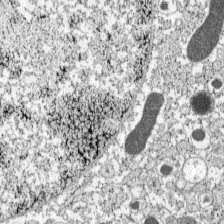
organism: C57BL Mouse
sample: Pancreatic islet